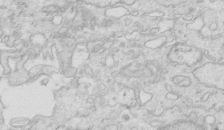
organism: Mouse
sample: Multiciliated cells